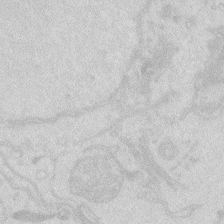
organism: Zebrafish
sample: Macrophage